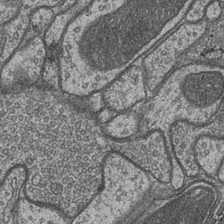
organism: Drosophila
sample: Optic medulla